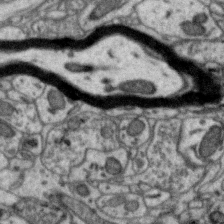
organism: Zebra finch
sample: Brain